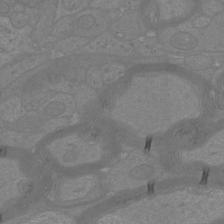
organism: Mouse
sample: Cortical neurons